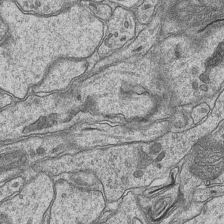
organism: Mouse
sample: CA1 Hippocampus